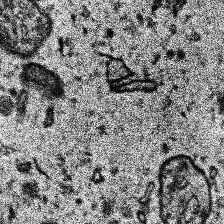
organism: Human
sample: Temporal Lobe